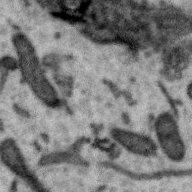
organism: Zebra finch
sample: Brain